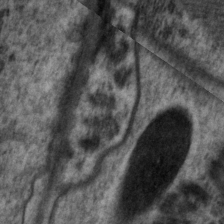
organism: P. pacificus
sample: Pharynx